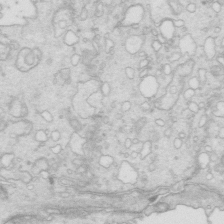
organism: Mouse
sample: Multiciliated cells